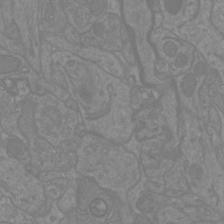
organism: Mouse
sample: Cortical neurons